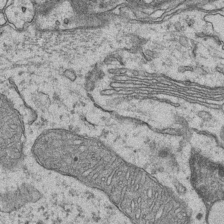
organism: Mouse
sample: CA1 Hippocampus